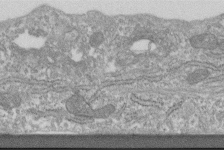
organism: Human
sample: Centriole in fibroblast cells